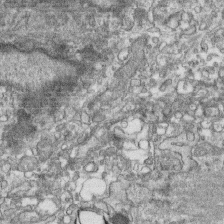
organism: Human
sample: CRL-1474